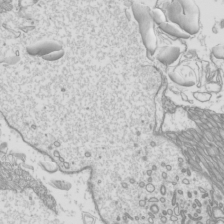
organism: Mouse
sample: Cilia; mouse epididymis